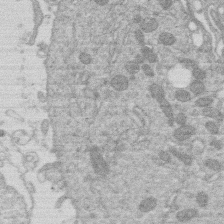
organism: Human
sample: Macrophage cells